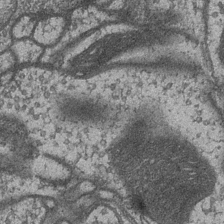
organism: Drosophila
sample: Optic medulla